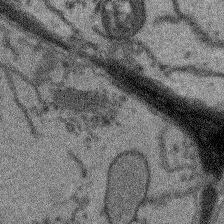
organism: Arabidopsis thaliana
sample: Root tip